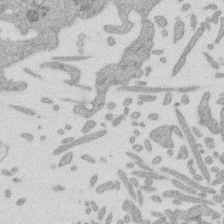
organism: Mouse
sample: Dividing mouse embryo 1 cell stage